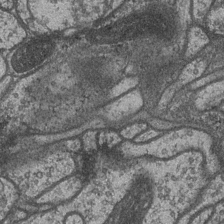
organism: Drosophila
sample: Optic medulla